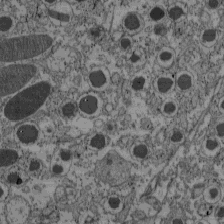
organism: C57BL Mouse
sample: Pancreatic islet